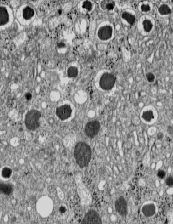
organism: C57BL Mouse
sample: Pancreatic islet